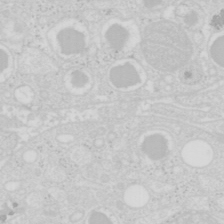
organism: Mouse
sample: Pancreas